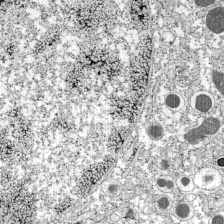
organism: C57BL Mouse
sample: Pancreatic islet